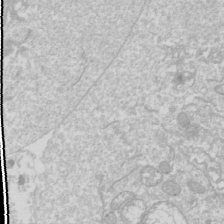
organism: Drosophila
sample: Cell division; meiosis; drosophila spermatocytes